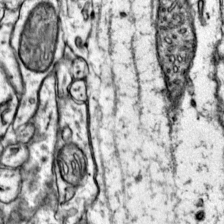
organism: Mouse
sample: Primary visual cortex